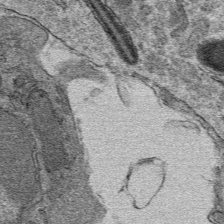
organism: Mouse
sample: Mouse hepatocytes